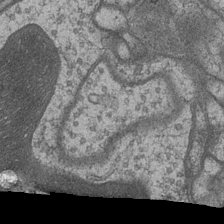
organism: Drosophila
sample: Optic medulla